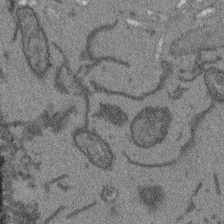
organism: Arabidopsis thaliana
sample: Root tip